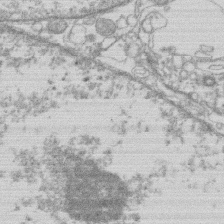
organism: Human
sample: Macrophage cells